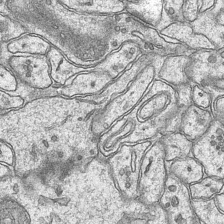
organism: Mouse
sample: CA1 Hippocampus